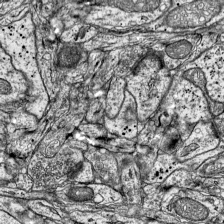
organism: Mouse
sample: Visual Cortex